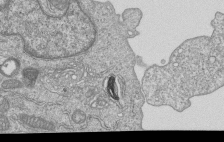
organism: Human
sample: MDA-MB-231 cells